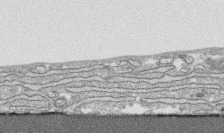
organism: Human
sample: CRL-1474